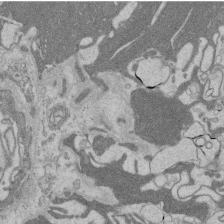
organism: Rat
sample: Salivary granule